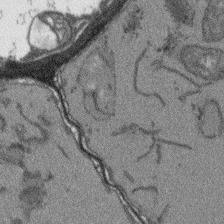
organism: Arabidopsis thaliana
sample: Root tip